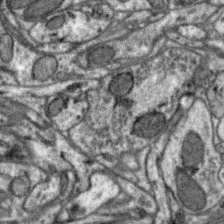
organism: Zebra finch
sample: Brain